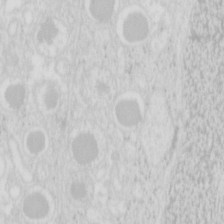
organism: Mouse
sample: Pancreas